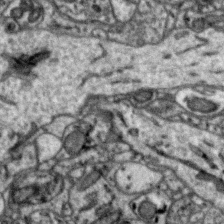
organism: Zebra finch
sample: Brain